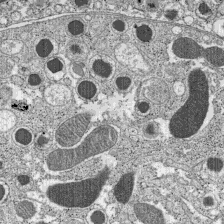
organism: C57BL Mouse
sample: Pancreatic islet